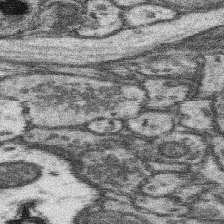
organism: Mouse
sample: Somatosensory cortex neuropil